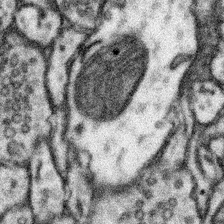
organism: Mouse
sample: Somatosensory cortex neuropil